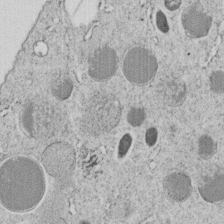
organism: C. elegans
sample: C. elegans embryo early stage